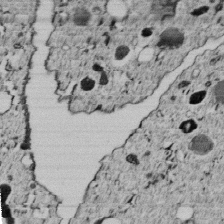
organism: C. elegans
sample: C. elegans embryo early stage